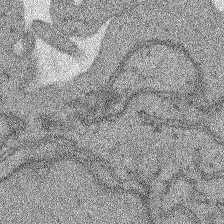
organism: Human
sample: HeLa cells